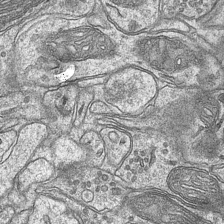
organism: Mouse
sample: CA1 Hippocampus